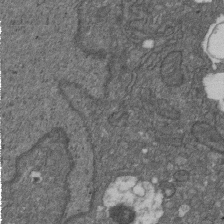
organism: Drosophila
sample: Nephrocyte